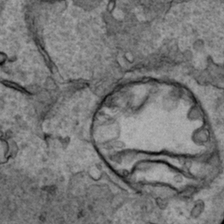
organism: Human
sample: Mitochondria in HCT116 cells